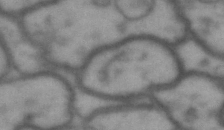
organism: Drosophila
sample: Brain